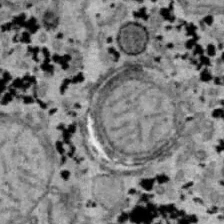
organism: Mouse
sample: Liver from an obese (ob/ob) mouse